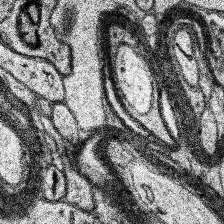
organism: Human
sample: Temporal Lobe